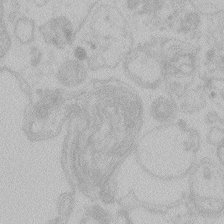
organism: Zebrafish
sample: Macrophage infected with Toxoplasma gondii